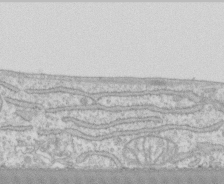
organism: Human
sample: CRL-1474